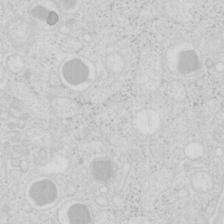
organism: Mouse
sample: Pancreas